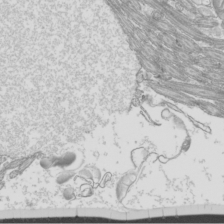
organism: Mouse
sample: Cilia; mouse epididymis